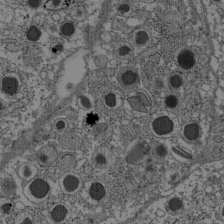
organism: C57BL Mouse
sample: Pancreatic islet